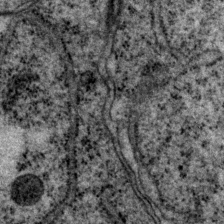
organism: P. pacificus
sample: Pharynx